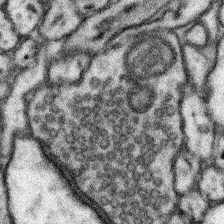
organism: Mouse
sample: Somatosensory cortex neuropil